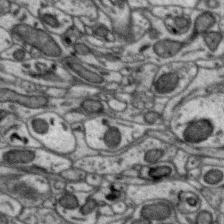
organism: Zebra finch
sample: Brain